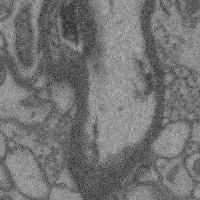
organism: Mouse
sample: Cerebral cortex